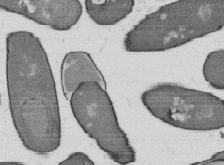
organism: B. subtilis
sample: Bacterial spore